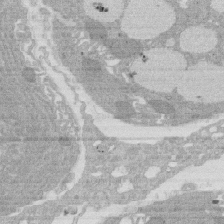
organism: Rat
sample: Salivary granule